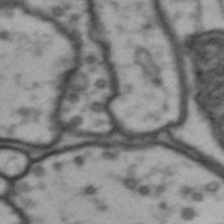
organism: Drosophila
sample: Brain